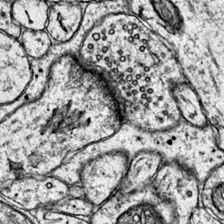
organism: Mouse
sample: Primary visual cortex